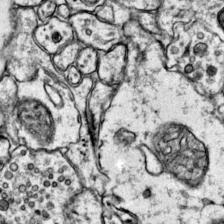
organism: Mouse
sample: Primary visual cortex